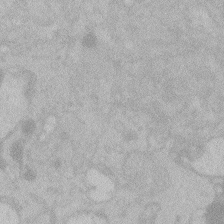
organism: Zebrafish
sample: Macrophage infected with Toxoplasma gondii